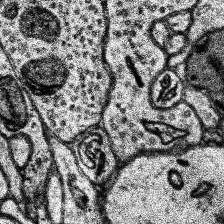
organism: Human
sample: Temporal Lobe